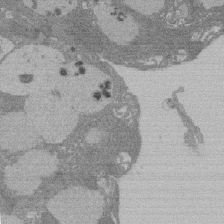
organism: Rat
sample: Salivary granule